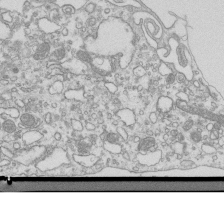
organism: Mouse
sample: Macrophages